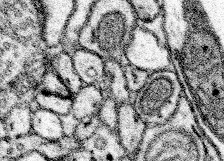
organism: Mouse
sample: Somatosensory cortex neuropil